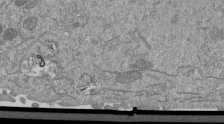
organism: Mouse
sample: ED-1 cell nuclei; centrioles